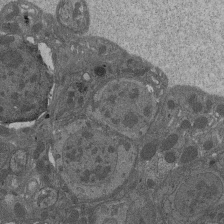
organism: Drosophila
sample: Antenna